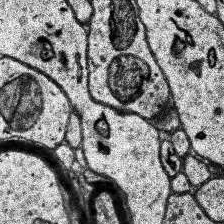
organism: Human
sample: Temporal Lobe